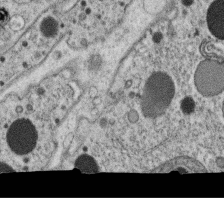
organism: C. elegans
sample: C. elegans oocyte; sperm cells